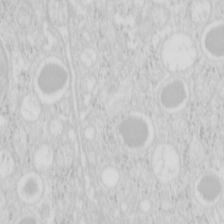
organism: Mouse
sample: Pancreas